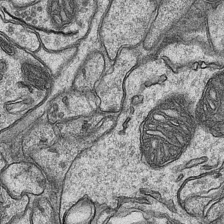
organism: Mouse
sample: CA1 Hippocampus